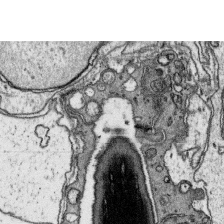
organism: Platynereis dumerilii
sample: Parapodia